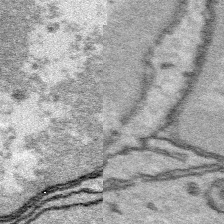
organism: Platynereis dumerilii